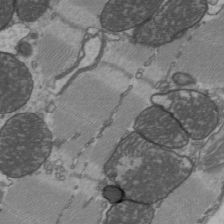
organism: C57BL Mouse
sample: Heart